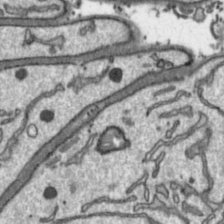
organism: Toxoplasma gondii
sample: Parasites in a vacuole inside a host cell